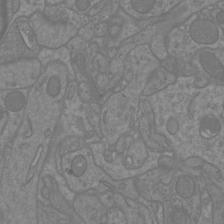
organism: Mouse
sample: Cortical neurons